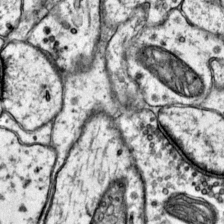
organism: Mouse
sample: Primary visual cortex